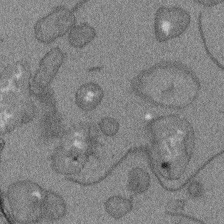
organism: Arabidopsis thaliana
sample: Root tip